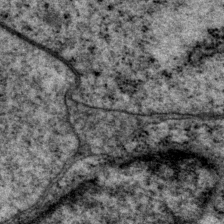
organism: P. pacificus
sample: Pharynx